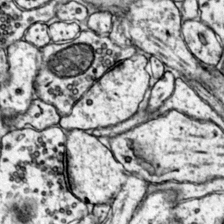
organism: Mouse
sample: Primary visual cortex